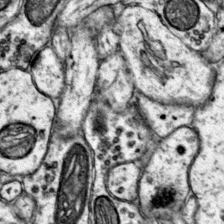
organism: Mouse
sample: Primary visual cortex